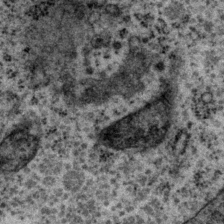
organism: P. pacificus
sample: Pharynx